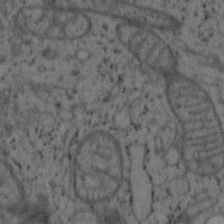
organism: Human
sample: HeLa cells